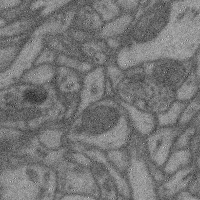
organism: Mouse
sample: Cerebral cortex